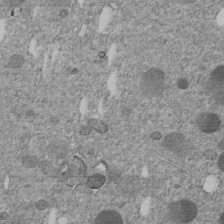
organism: C. elegans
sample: C. elegans embryo early stage